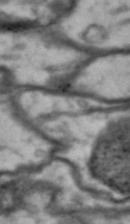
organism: Drosophila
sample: Brain